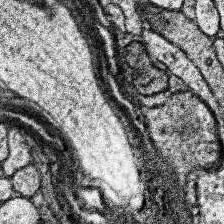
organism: Human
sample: Temporal Lobe